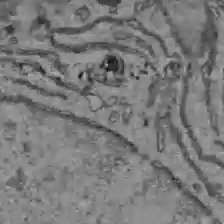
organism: C57BL Mouse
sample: Liver